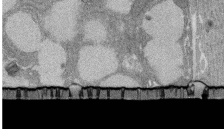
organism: Rat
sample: Salivary granule